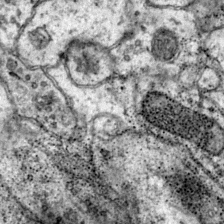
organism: Mouse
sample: Primary visual cortex